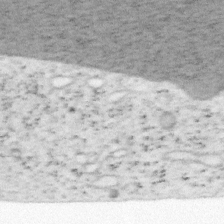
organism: Mouse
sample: OT-I killer T cells with ID8 ovarian cancer cells